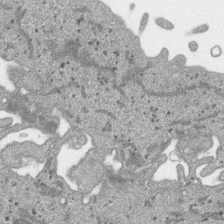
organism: Human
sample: Lung epithelial cells infected with SARS-CoV-2